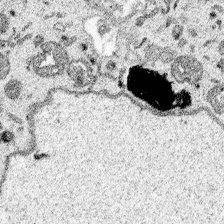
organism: Spongilla lacustris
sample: Multiple